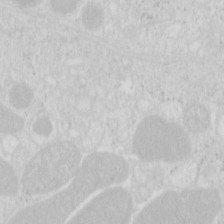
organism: Mouse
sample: Pancreas